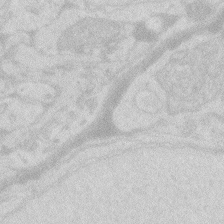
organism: Zebrafish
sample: Macrophage